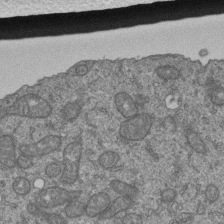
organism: Human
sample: Retinal organoid Rod and Cone cells